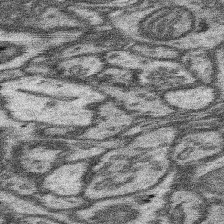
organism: Mouse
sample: Somatosensory cortex neuropil